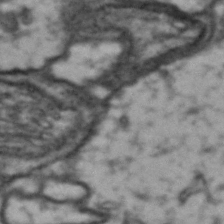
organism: Drosophila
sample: Brain